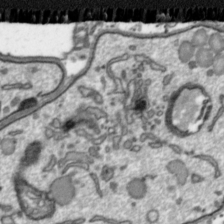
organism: Toxoplasma gondii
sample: Parasites in a vacuole inside a host cell